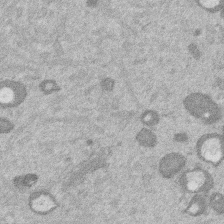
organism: Mouse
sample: Dividing mouse embryo 1 cell stage